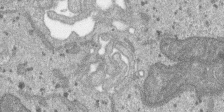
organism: Human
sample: Lung epithelial cells infected with SARS-CoV-2